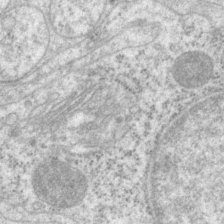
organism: P. pacificus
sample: Pharynx